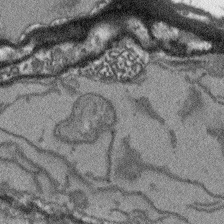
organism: Arabidopsis thaliana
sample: Root tip